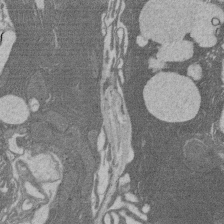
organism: Rat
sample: Salivary granule